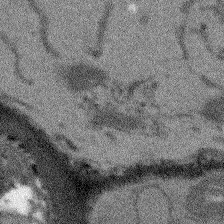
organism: Arabidopsis thaliana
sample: Root tip